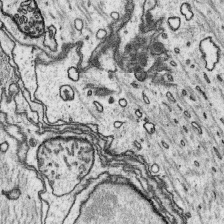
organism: Platynereis dumerilii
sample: Parapodia